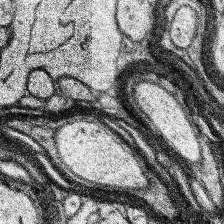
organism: Human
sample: Temporal Lobe